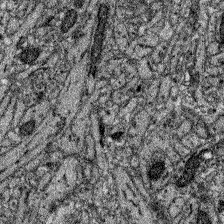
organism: Zebrafish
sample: Larval olfactory bulb